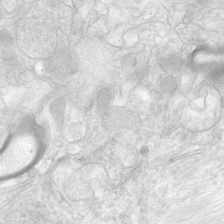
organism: Human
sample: Neocortex